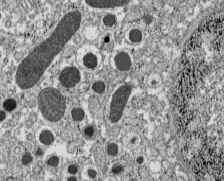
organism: C57BL Mouse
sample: Pancreatic islet